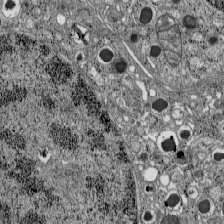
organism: C57BL Mouse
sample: Pancreatic islet